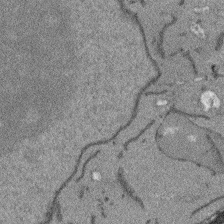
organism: Arabidopsis thaliana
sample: Root tip